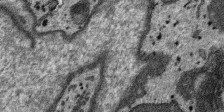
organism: Human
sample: Lung epithelial cells, uninfected (mock) control